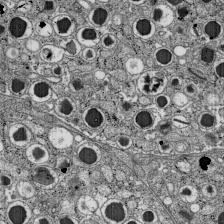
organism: C57BL Mouse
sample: Pancreatic islet